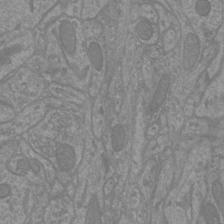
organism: Mouse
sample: Cortical neurons